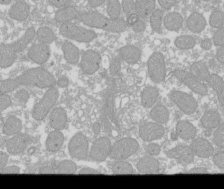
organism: Xenopus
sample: Cilia; centrioles in frog embryo cells